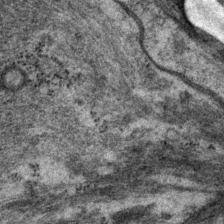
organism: P. pacificus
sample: Pharynx